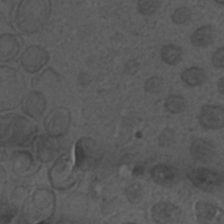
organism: C. elegans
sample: C. elegans embryo